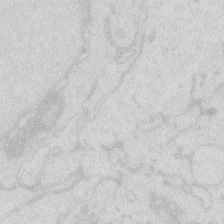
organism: Zebrafish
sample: Macrophage